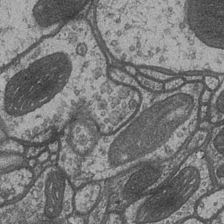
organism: Drosophila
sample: Optic medulla